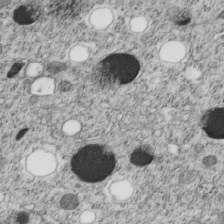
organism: C. elegans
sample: C. elegans embryo early stage